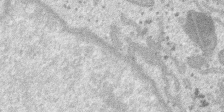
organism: Human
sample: Lung epithelial cells infected with SARS-CoV-2